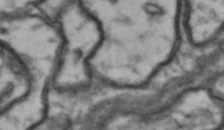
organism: Drosophila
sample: Brain